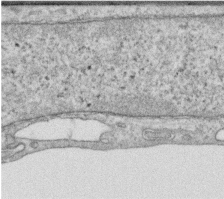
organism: Human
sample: Centriole in RPE cells